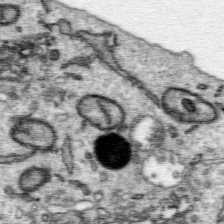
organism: Human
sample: HeLa cells